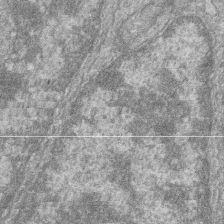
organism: Zebrafish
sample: Cilia; retinal pigment epithelium